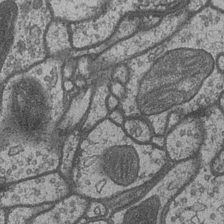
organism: Drosophila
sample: Optic medulla